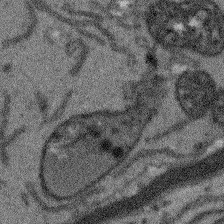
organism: Arabidopsis thaliana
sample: Root tip